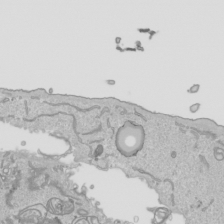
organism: Human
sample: Mitochondria in HCT116 cells